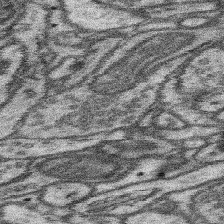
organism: Mouse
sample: Somatosensory cortex neuropil